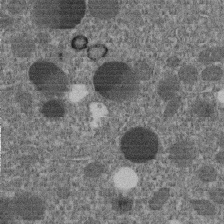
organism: C. elegans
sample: C. elegans embryo early stage